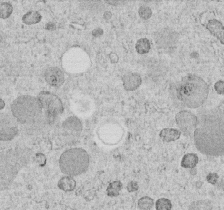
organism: C. elegans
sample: C. elegans embryo early stage